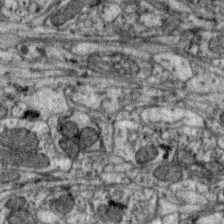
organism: Zebra finch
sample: Brain